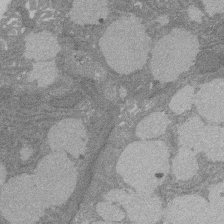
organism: Rat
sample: Salivary granule